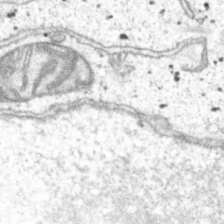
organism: Human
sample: HeLa cells